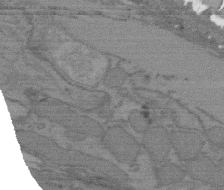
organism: C. elegans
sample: AFD neurons C. elegans